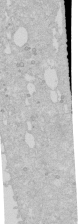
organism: Human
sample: Caco-2 cells